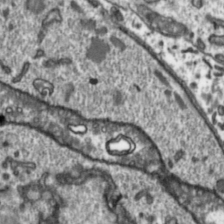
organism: Toxoplasma gondii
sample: Parasites in a vacuole inside a host cell